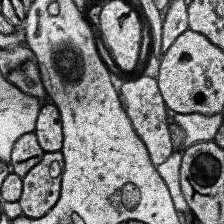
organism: Human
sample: Temporal Lobe